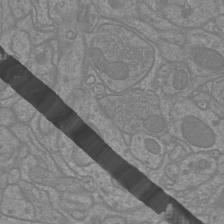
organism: Mouse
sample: Cortical neurons